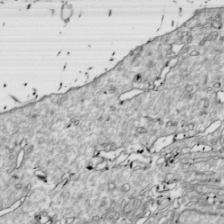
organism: Drosophila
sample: Cell division; meiosis; drosophila spermatocytes